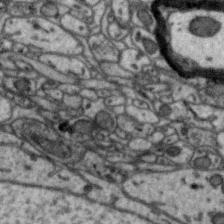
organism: Zebra finch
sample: Brain